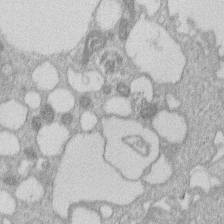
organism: Human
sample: Macrophage cells